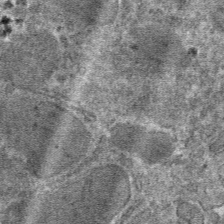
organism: Mouse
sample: Mouse hepatocytes